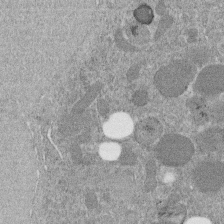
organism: C. elegans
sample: C. elegans embryo early stage